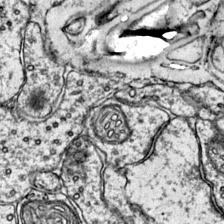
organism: Mouse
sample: Primary visual cortex